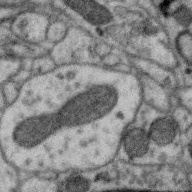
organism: Zebra finch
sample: Brain